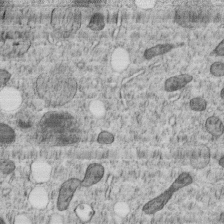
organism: C. elegans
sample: C. elegans embryo early stage